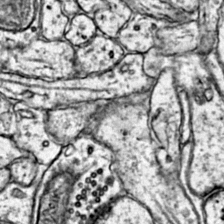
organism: Mouse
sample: Primary visual cortex